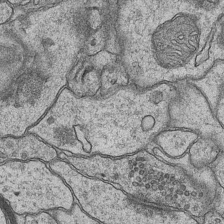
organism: Mouse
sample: CA1 Hippocampus